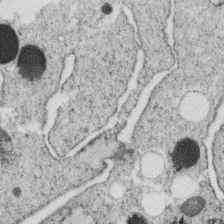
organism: C. elegans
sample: C. elegans oocyte; sperm cells